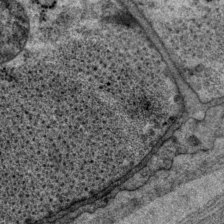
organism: P. pacificus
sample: Pharynx